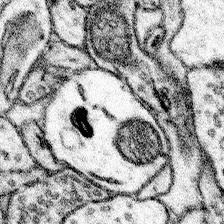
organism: Mouse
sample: Somatosensory cortex neuropil